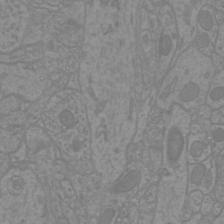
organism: Mouse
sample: Cortical neurons